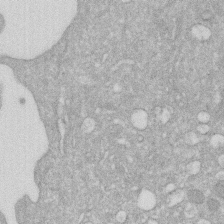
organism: Human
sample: HIV infected U937 cells